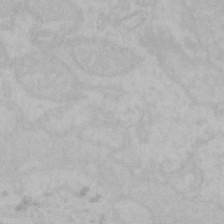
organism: Mouse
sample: Choroid plexus